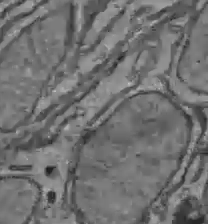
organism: C57BL Mouse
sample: Liver